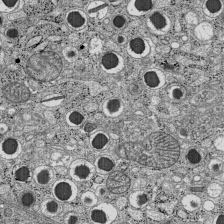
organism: C57BL Mouse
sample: Pancreatic islet